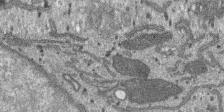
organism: Human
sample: Lung epithelial cells infected with SARS-CoV-2